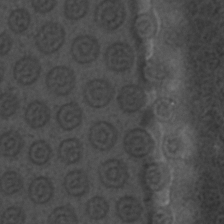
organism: C. elegans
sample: C. elegans embryo